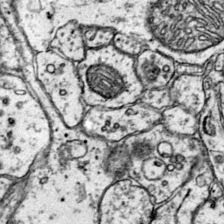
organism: Mouse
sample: Primary visual cortex